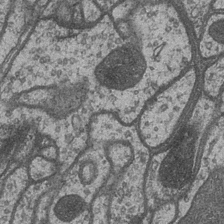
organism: Drosophila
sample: Optic medulla